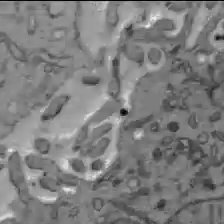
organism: C57BL Mouse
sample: Liver